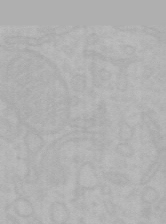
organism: Mouse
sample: Choroid plexus